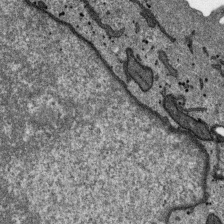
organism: Human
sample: Lung epithelial cells, uninfected (mock) control